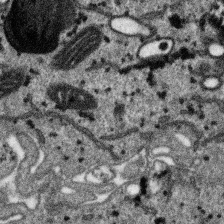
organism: Human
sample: Lung epithelial cells infected with SARS-CoV-2